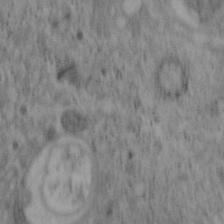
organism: Mouse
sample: OT-I killer T cells with ID8 ovarian cancer cells